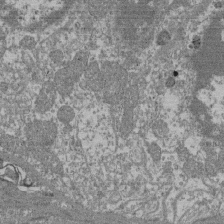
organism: Mouse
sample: Glomerulus